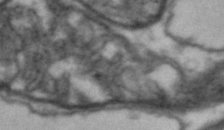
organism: Drosophila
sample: Brain